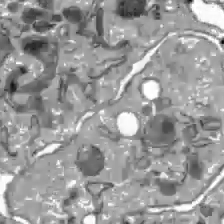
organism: C57BL Mouse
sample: Liver